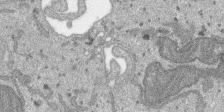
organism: Human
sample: Lung epithelial cells infected with SARS-CoV-2